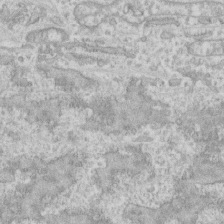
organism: Human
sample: CRL-1474